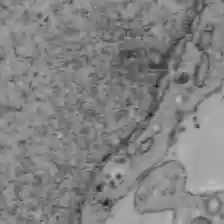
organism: C57BL Mouse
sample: Liver